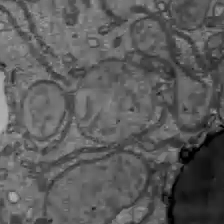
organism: C57BL Mouse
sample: Liver